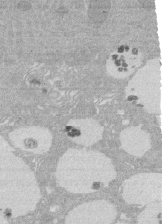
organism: Rat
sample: Salivary granule